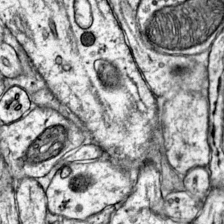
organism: Mouse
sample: Primary visual cortex